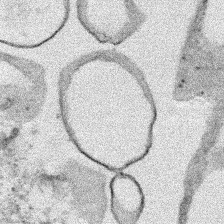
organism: Human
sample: Mitochondria in HCT116 cells